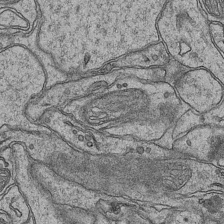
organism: Mouse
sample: CA1 Hippocampus